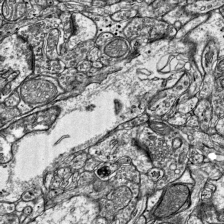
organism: Mouse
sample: Visual Cortex